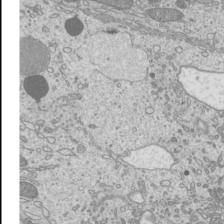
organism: Mouse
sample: Cilia; mouse epididymis